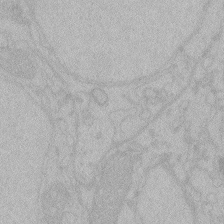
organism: Zebrafish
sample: Macrophage infected with Toxoplasma gondii